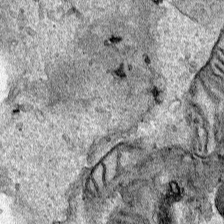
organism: Human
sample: Mitochondria in HCT116 cells